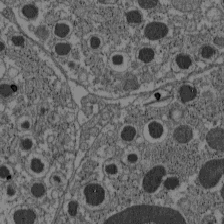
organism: C57BL Mouse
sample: Pancreatic islet